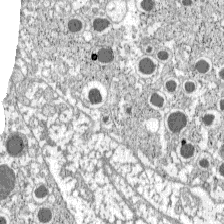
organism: C57BL Mouse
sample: Pancreatic islet